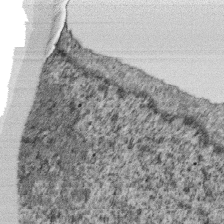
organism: African green monkey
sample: Vero E6 cells infected with SARS-CoV-2